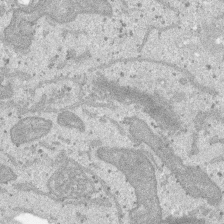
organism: Human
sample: Lung epithelial cells infected with SARS-CoV-2